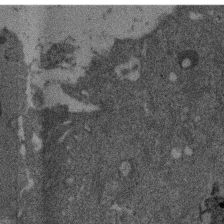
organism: Mouse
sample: Dividing mouse embryo 1 cell stage